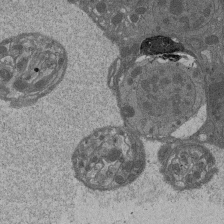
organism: Drosophila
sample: Antenna